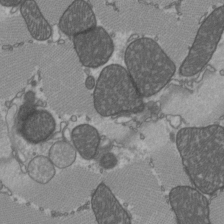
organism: C57BL Mouse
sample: Heart